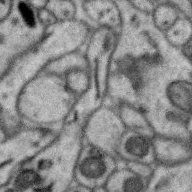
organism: Zebra finch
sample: Brain